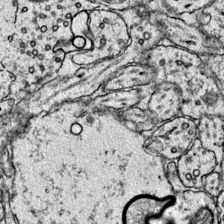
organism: Mouse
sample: Primary visual cortex